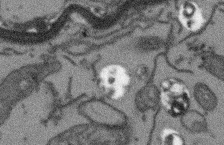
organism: Arabidopsis thaliana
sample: Root tip